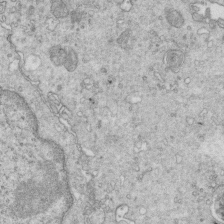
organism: Mouse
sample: Multiciliated cells